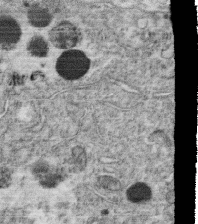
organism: C. elegans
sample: C. elegans oocyte; sperm cells